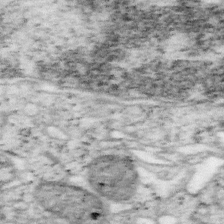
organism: Mouse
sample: OT-I killer T cells with ID8 ovarian cancer cells